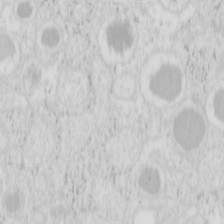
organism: Mouse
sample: Pancreas